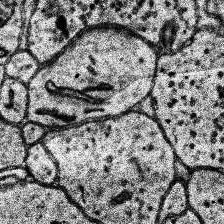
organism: Human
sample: Temporal Lobe